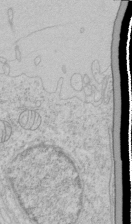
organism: Human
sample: Mitochondria in HCT116 cells